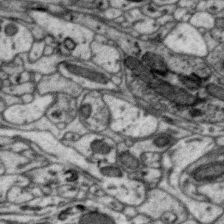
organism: Zebra finch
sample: Brain